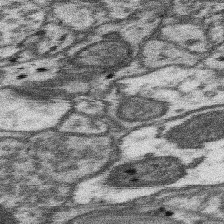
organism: Mouse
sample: Somatosensory cortex neuropil